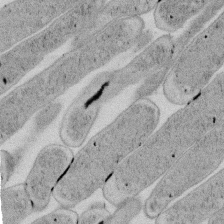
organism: E. coli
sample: Bacterial nucleoid